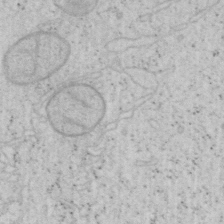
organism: Human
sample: HeLa cells